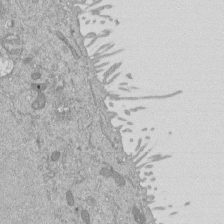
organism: Mouse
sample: ED-1 cell nuclei; centrioles